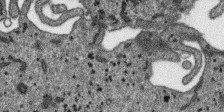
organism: Human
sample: Lung epithelial cells infected with SARS-CoV-2